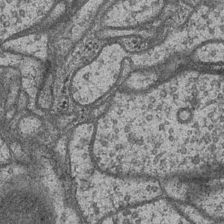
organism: Drosophila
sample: Optic medulla